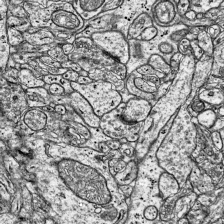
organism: Mouse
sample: Visual Cortex